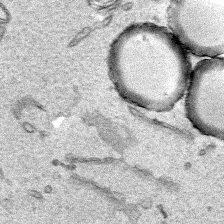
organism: Human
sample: Mitochondria in HCT116 cells